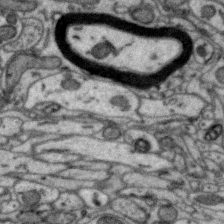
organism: Zebra finch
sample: Brain